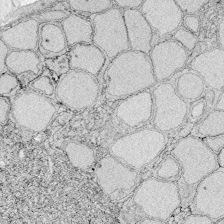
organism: Zebrafish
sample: Whole-Brain